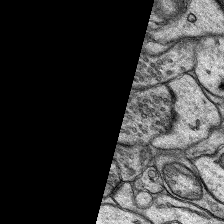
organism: Rat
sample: Hippocampus